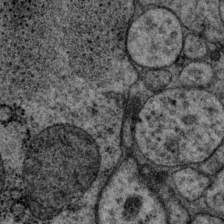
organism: P. pacificus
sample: Pharynx